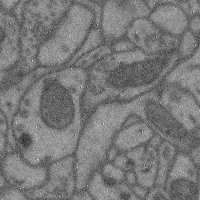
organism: Mouse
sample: Cerebral cortex